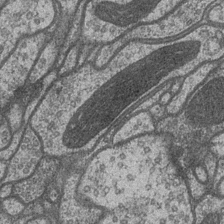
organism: Drosophila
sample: Optic medulla